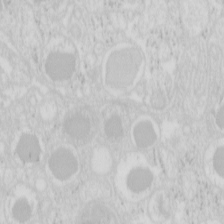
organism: Mouse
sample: Pancreas